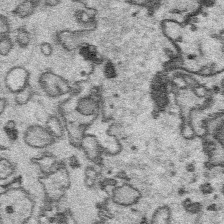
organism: Platynereis dumerilii